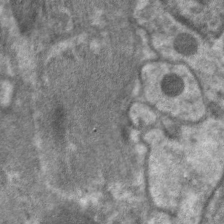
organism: C. elegans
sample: Pharynx